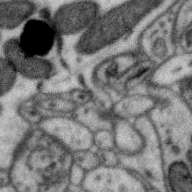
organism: Zebra finch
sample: Brain